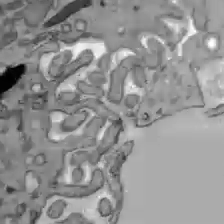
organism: C57BL Mouse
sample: Liver